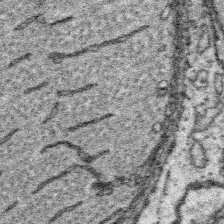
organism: Platynereis dumerilii